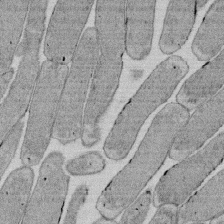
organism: E. coli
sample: Bacterial nucleoid